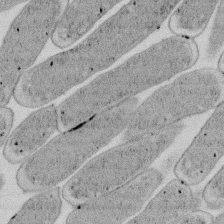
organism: E. coli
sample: Bacterial nucleoid